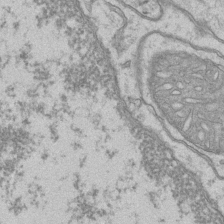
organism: Mouse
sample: CA1 Hippocampus